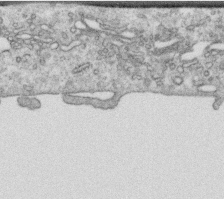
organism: Human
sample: Centriole in RPE cells